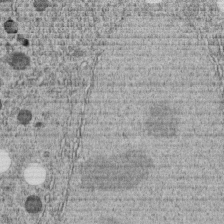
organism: C. elegans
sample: C. elegans embryo early stage